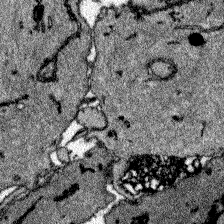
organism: Zebrafish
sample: Larval olfactory bulb